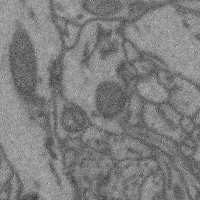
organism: Mouse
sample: Cerebral cortex